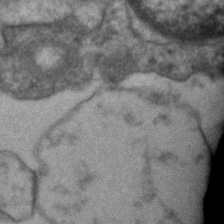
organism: Human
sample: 1205lu cells